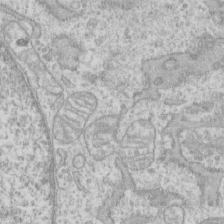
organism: Human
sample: CRL-1474